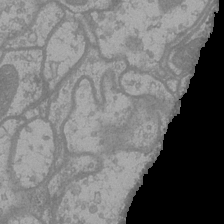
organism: Drosophila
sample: Optic medulla